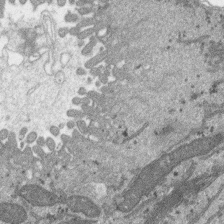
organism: Human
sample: Lung epithelial cells infected with SARS-CoV-2